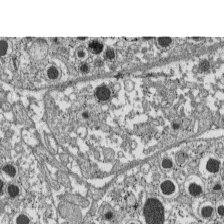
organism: C57BL Mouse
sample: Pancreatic islet